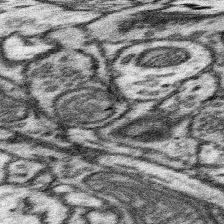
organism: Mouse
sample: Somatosensory cortex neuropil